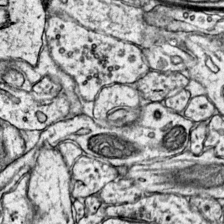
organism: Mouse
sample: Primary visual cortex